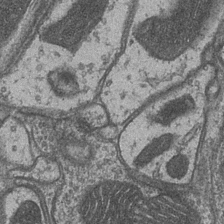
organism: Drosophila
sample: Optic medulla